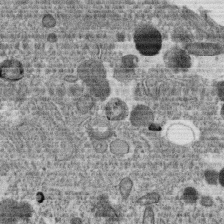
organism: C. elegans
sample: C. elegans oocyte; sperm cells